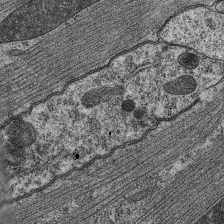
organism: C. elegans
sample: Pharynx